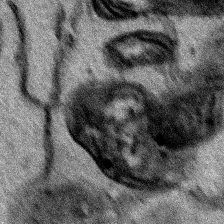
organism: Human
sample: Mitochondria in HCT116 cells